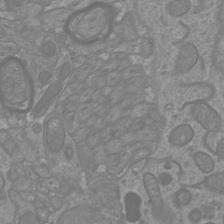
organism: Mouse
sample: Cortical neurons